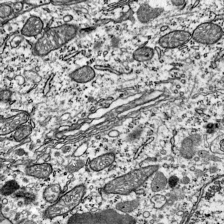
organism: Mouse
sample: Visual Cortex